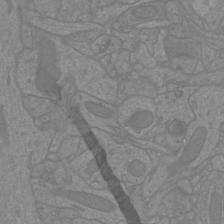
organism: Mouse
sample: Cortical neurons